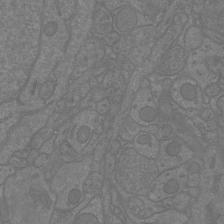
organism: Mouse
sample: Cortical neurons